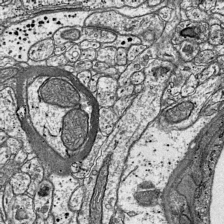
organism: Mouse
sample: Visual Cortex